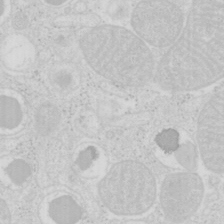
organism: Mouse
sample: Pancreas